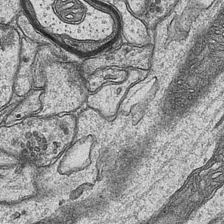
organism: Mouse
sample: CA1 Hippocampus